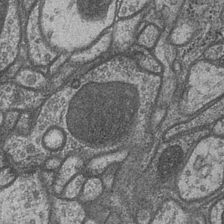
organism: Drosophila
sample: Optic medulla